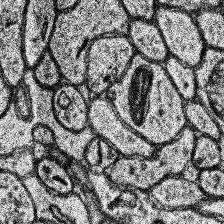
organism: Human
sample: Temporal Lobe